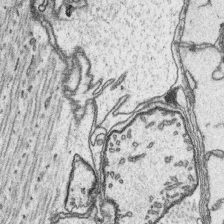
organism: Platynereis dumerilii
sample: Parapodia